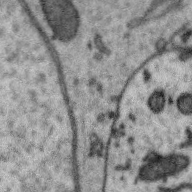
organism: Zebra finch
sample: Brain